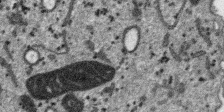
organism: Human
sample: Lung epithelial cells infected with SARS-CoV-2